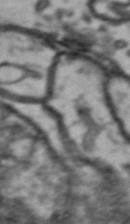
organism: Drosophila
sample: Brain